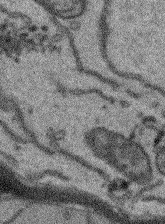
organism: Arabidopsis thaliana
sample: Root tip